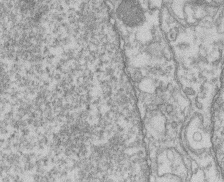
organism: Mouse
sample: T cell stromal cell synapse